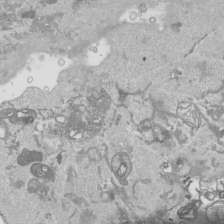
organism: Human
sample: Mitochondria in HCT116 cells